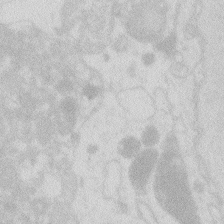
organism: Zebrafish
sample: Macrophage